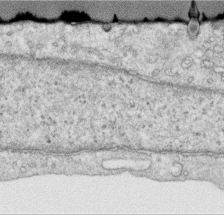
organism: Human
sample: Centriole in RPE cells